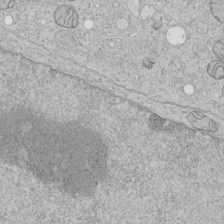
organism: Human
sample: Mitochondria in HCT116 cells